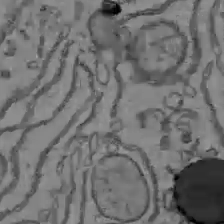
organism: C57BL Mouse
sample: Liver